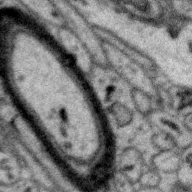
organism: Zebra finch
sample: Brain